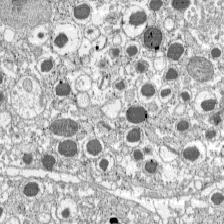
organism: C57BL Mouse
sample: Pancreatic islet